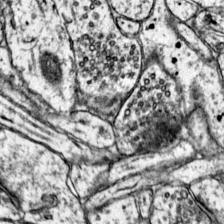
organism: Mouse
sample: Primary visual cortex